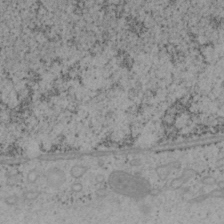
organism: Human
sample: HeLa cells